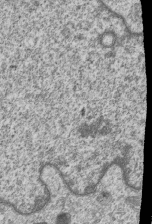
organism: Human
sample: MDA-MB-231 cells